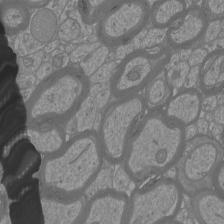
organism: Mouse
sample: Cortical neurons